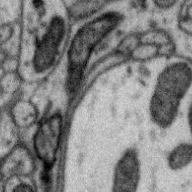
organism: Zebra finch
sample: Brain